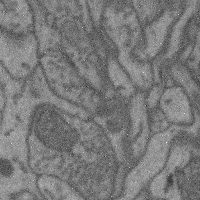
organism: Mouse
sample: Cerebral cortex